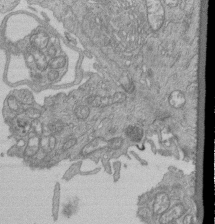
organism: Human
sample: Retinal organoid Rod and Cone cells